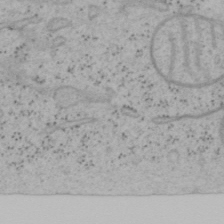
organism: Human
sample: HeLa cells